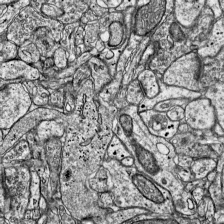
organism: Mouse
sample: Visual Cortex